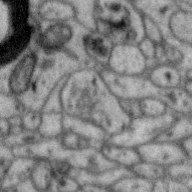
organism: Zebra finch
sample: Brain